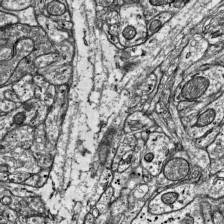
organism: Mouse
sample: Visual Cortex